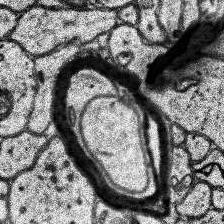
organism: Human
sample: Temporal Lobe